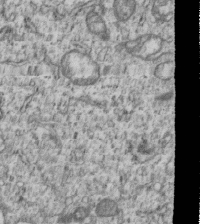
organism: Human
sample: MDA-MB-231 cells